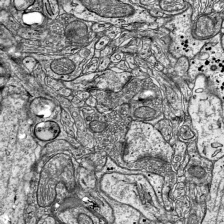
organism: Mouse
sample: Visual Cortex